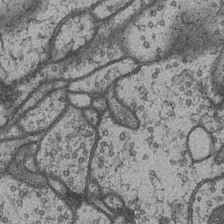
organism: Drosophila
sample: Optic medulla